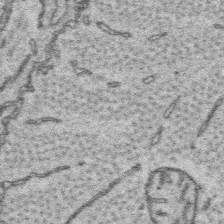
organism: Platynereis dumerilii